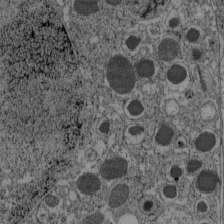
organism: C57BL Mouse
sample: Pancreatic islet